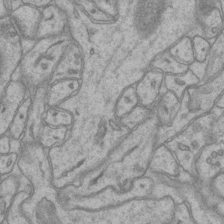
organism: Mouse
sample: CA1 Hippocampus